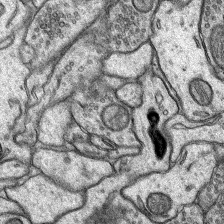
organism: Rat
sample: Hippocampus